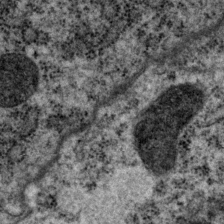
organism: P. pacificus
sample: Pharynx